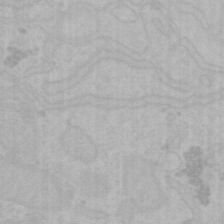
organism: Mouse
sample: Choroid plexus